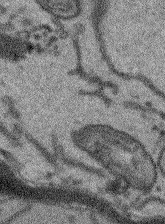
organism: Arabidopsis thaliana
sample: Root tip